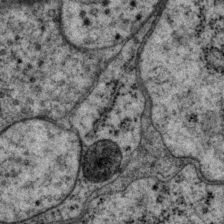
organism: P. pacificus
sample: Pharynx